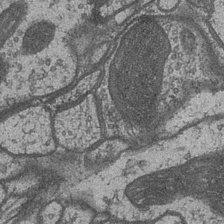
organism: Drosophila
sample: Optic medulla